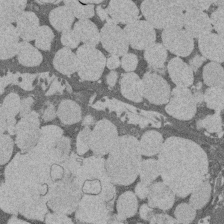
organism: Rat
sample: Salivary granule